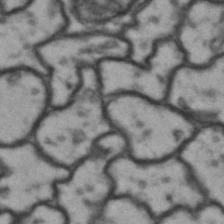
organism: Drosophila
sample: Brain